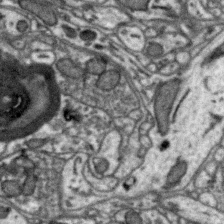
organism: Zebra finch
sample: Brain